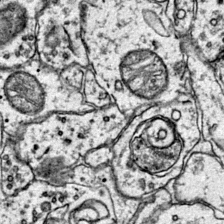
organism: Mouse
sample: Primary visual cortex